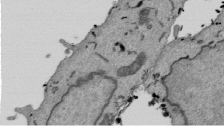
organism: Mouse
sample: ED-1 cell nuclei; centrioles